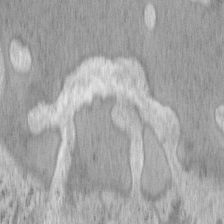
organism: Human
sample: HeLa cells